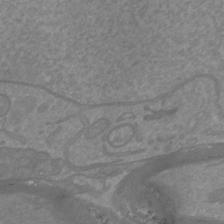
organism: Mouse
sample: Cortical neurons